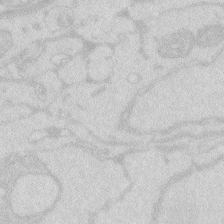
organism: Zebrafish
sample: Macrophage